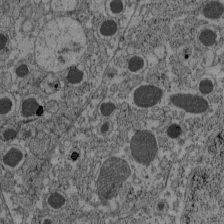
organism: C57BL Mouse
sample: Pancreatic islet